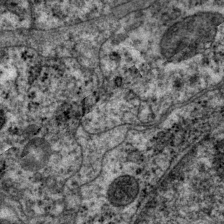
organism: P. pacificus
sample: Pharynx